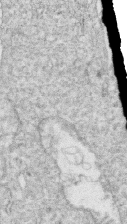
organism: Human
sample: HeLa cell HIV synapse